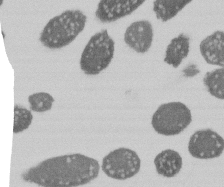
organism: E. coli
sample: Bacterial nucleoid